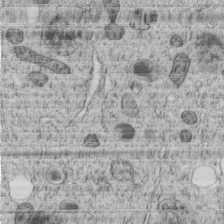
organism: C. elegans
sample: C. elegans embryo early stage